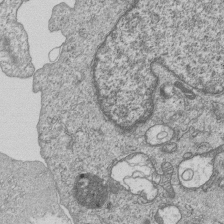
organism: Human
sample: MDA-MB-231 cells